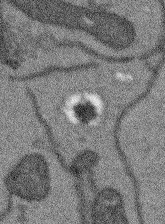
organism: Arabidopsis thaliana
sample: Root tip